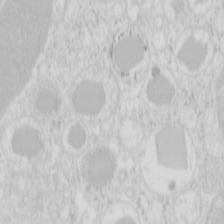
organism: Mouse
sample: Pancreas